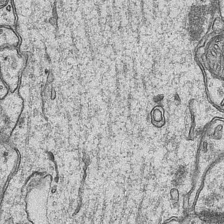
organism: Mouse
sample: CA1 Hippocampus